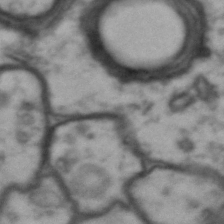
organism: Drosophila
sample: Brain